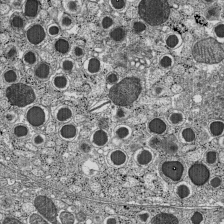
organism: C57BL Mouse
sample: Pancreatic islet